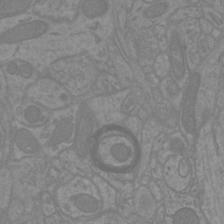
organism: Mouse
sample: Cortical neurons